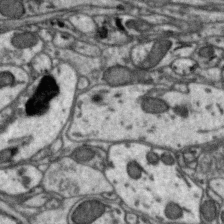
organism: Zebra finch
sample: Brain